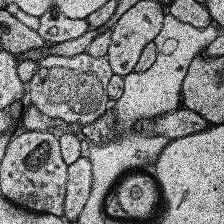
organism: Human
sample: Temporal Lobe